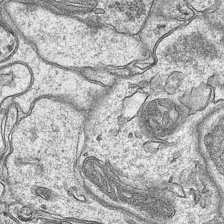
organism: Mouse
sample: CA1 Hippocampus